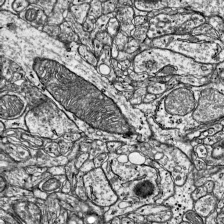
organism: Mouse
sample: Visual Cortex